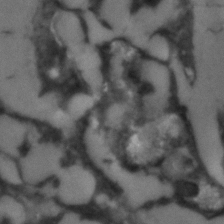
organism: C. elegans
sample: C. elegans embryo